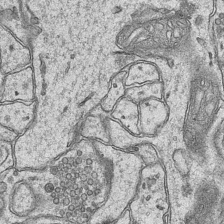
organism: Mouse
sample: CA1 Hippocampus